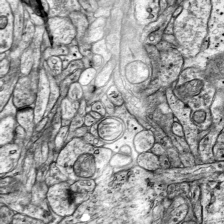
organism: Mouse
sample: Visual Cortex